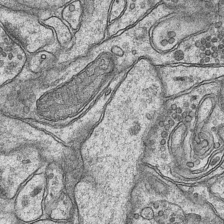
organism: Mouse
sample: CA1 Hippocampus